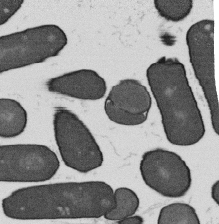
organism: B. subtilis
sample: Bacterial spore